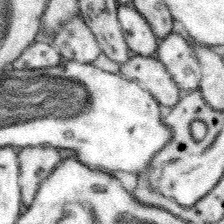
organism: Mouse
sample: Somatosensory cortex neuropil